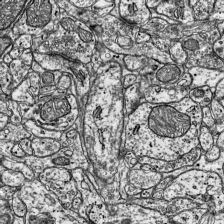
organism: Mouse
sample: Visual Cortex